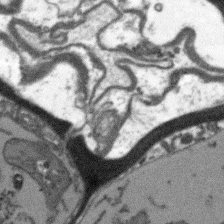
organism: Arabidopsis thaliana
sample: Root tip